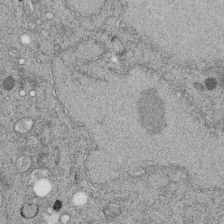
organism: C. elegans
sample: C. elegans embryo early stage